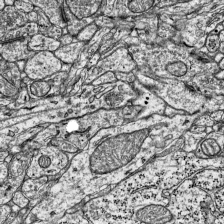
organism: Mouse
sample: Visual Cortex